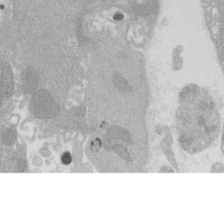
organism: Rat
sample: Salivary granule